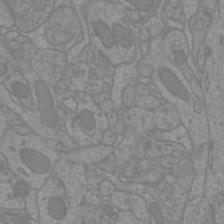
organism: Mouse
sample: Cortical neurons